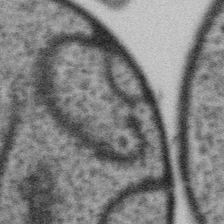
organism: Gemmata obscuriglobus